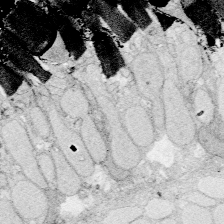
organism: Zebrafish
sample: Whole-Brain